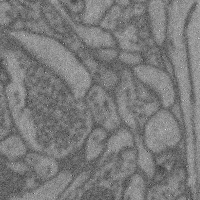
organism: Mouse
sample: Cerebral cortex